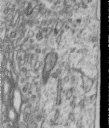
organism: Human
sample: Centriole in RPE cells